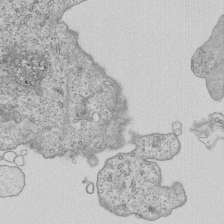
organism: Human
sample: MDA-MB-231 cells